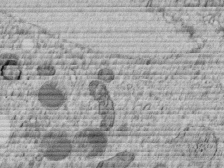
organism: C. elegans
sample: C. elegans embryo early stage